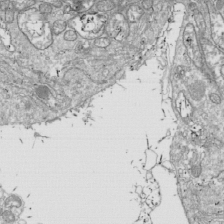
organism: Drosophila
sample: Cell division; meiosis; drosophila spermatocytes